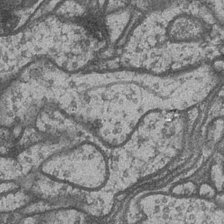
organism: Drosophila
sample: Optic medulla